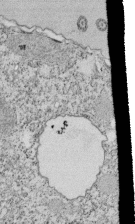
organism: Tetrahymena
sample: Cilia in tetrahymena